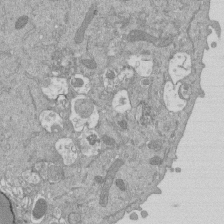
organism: Mouse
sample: ED-1 cell nuclei; centrioles